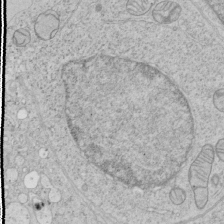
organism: Human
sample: Mitochondria in HCT116 cells